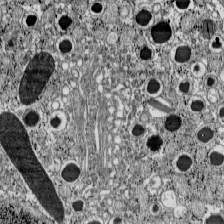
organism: C57BL Mouse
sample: Pancreatic islet